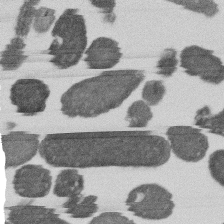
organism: E. coli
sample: Bacterial nucleoid